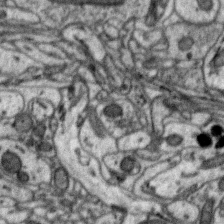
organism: Zebra finch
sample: Brain